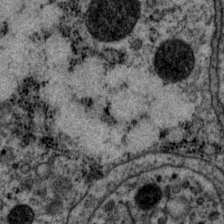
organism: P. pacificus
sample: Pharynx